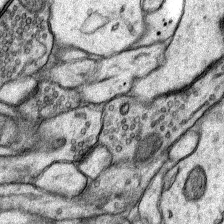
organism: Rat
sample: Hippocampus